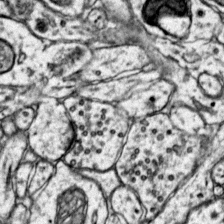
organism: Mouse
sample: Primary visual cortex